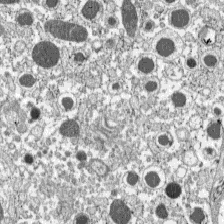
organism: C57BL Mouse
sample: Pancreatic islet